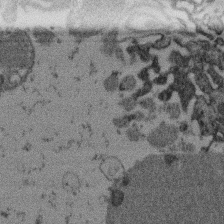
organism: Mouse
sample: Dividing mouse embryo 1 cell stage